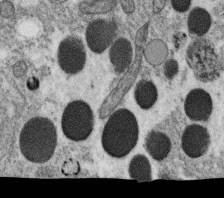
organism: C. elegans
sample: C. elegans oocyte; sperm cells